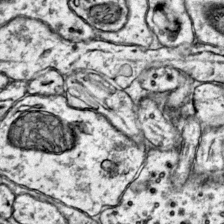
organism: Mouse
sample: Primary visual cortex